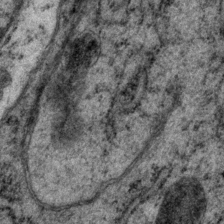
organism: P. pacificus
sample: Pharynx